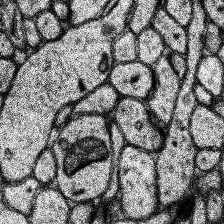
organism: Human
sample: Temporal Lobe